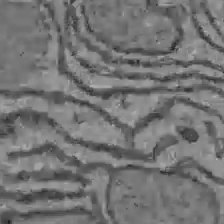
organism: C57BL Mouse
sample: Liver